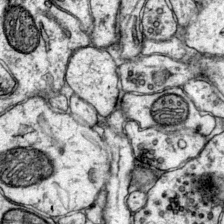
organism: Mouse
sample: Primary visual cortex